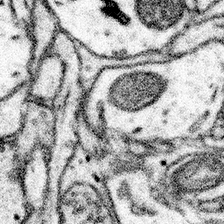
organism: Mouse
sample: Somatosensory cortex neuropil